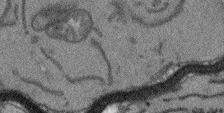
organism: Arabidopsis thaliana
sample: Root tip